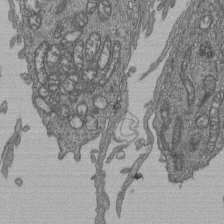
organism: Human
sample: Retinal organoid Rod and Cone cells